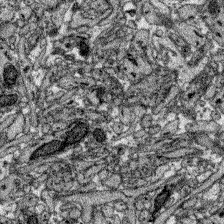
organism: Zebrafish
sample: Larval olfactory bulb